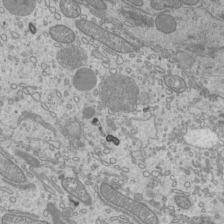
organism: Mouse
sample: Cilia; mouse epididymis